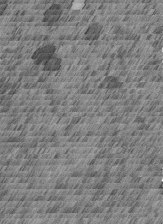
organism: C. elegans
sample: C. elegans embryo early stage